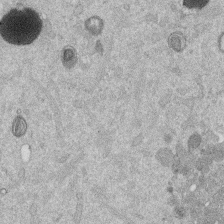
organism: Mouse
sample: Dividing mouse embryo 1 cell stage